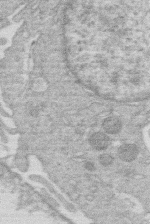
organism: Human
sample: Macrophage cells